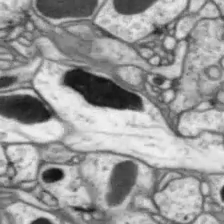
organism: Drosophila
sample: Optic lobe